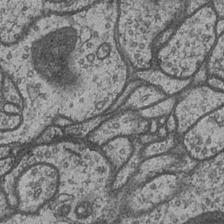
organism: Drosophila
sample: Optic medulla